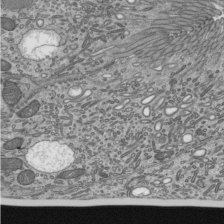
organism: Mouse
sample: Mouse epididymis efferent ductule cilia